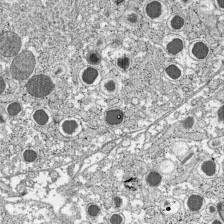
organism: C57BL Mouse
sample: Pancreatic islet